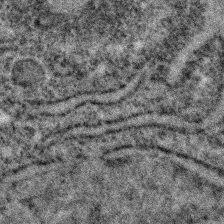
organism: C. elegans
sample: C. elegans embryo